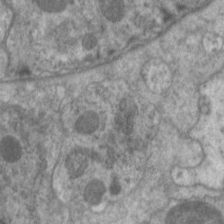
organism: C. elegans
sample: Pharynx